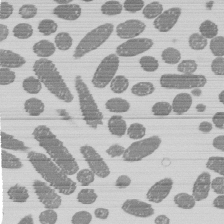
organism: E. coli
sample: Bacterial nucleoid